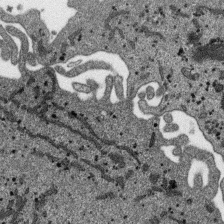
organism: Human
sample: Lung epithelial cells infected with SARS-CoV-2